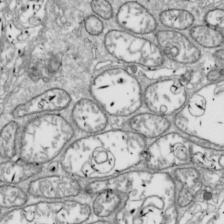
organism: Drosophila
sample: Cell division; meiosis; drosophila spermatocytes